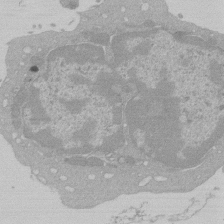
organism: Mouse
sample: Activated Pmel transgenic CD8+ T Cells